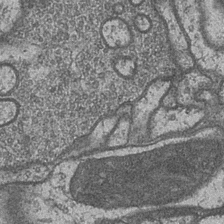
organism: Drosophila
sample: Optic medulla